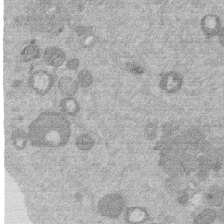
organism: Mouse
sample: Dividing mouse embryo 1 cell stage